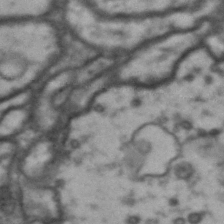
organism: Drosophila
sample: Brain